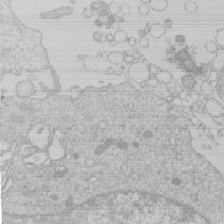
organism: Human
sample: Macrophage cells